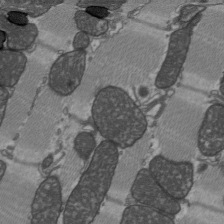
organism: C57BL Mouse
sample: Heart